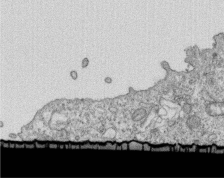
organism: Human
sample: HeLa cell HIV synapse